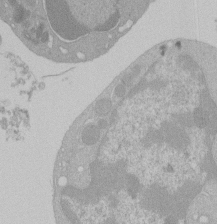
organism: Mouse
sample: Activated Pmel transgenic CD8+ T Cells